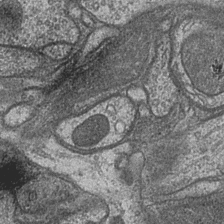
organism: Drosophila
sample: Optic medulla